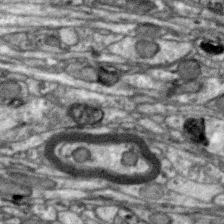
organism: Zebra finch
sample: Brain